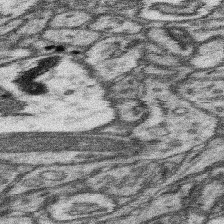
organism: Mouse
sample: Somatosensory cortex neuropil